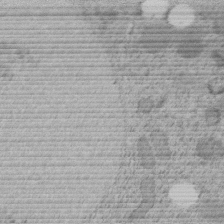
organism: C. elegans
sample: C. elegans embryo early stage